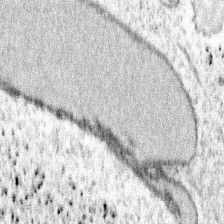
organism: Human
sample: HeLa cells